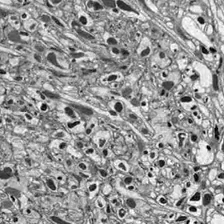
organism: Drosophila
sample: Optic lobe